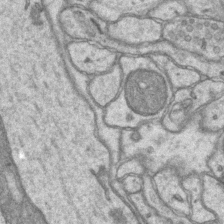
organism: Mouse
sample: CA1 Hippocampus